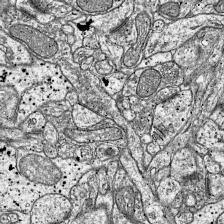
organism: Mouse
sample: Visual Cortex